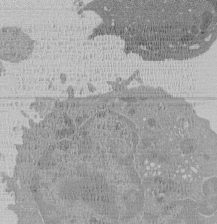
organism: Mouse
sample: Activated Pmel transgenic CD8+ T Cells